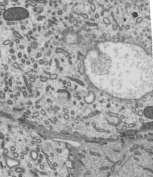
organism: Mouse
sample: Mouse epididymis efferent ductule cilia